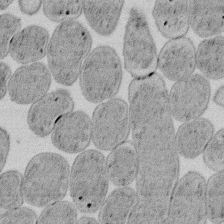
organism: E. coli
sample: Bacterial nucleoid